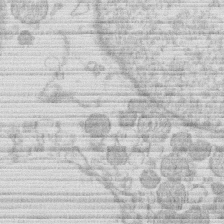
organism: Human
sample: Macrophage cells